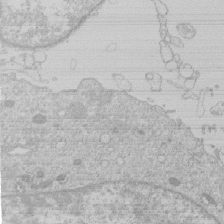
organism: Human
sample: Macrophage cells